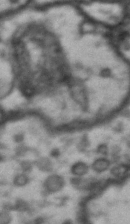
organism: Drosophila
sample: Brain